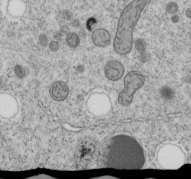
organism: C. elegans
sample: C. elegans embryo early stage